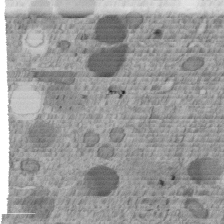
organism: C. elegans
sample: C. elegans embryo early stage